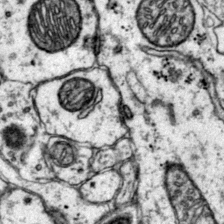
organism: Mouse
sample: Primary visual cortex